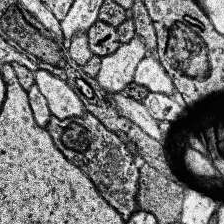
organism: Human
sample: Temporal Lobe